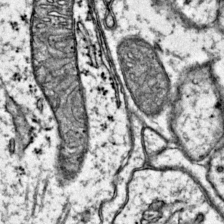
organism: Mouse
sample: Primary visual cortex